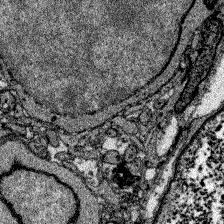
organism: Zebrafish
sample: Larval olfactory bulb